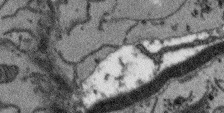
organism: Arabidopsis thaliana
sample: Root tip